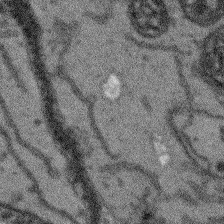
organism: Arabidopsis thaliana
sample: Root tip